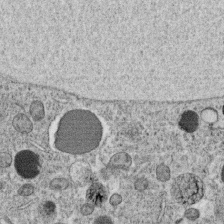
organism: C. elegans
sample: C. elegans oocyte; sperm cells